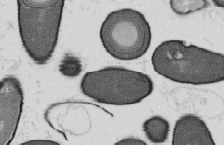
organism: B. subtilis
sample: Bacterial spore